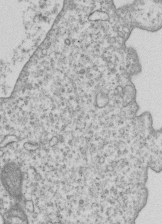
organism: Human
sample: MDA-MB-231 cells